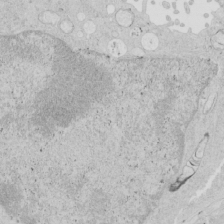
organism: Human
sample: Mitochondria in HCT116 cells